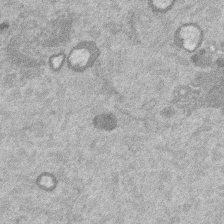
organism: Mouse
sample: Dividing mouse embryo 1 cell stage